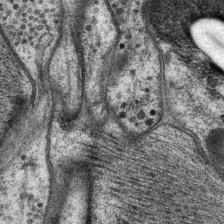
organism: P. pacificus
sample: Pharynx